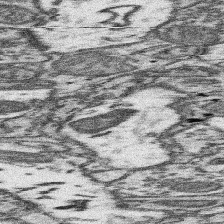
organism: Mouse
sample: Somatosensory cortex neuropil